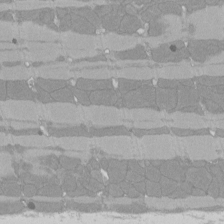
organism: Rat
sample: Left ventricle